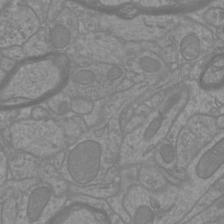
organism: Mouse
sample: Cortical neurons